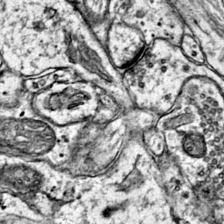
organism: Mouse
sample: Primary visual cortex